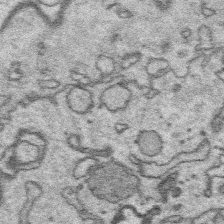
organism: Platynereis dumerilii